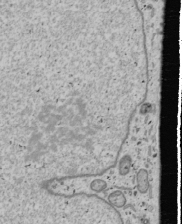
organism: Human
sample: Mitochondria in U2OS cells